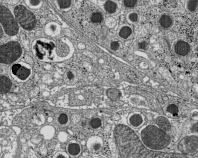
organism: C57BL Mouse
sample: Pancreatic islet